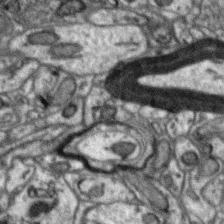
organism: Zebra finch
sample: Brain